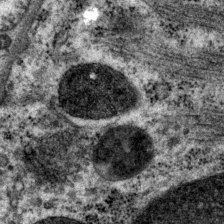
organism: P. pacificus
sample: Pharynx